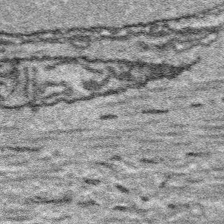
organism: Platynereis dumerilii